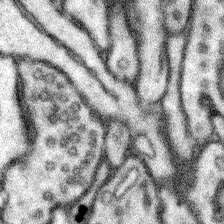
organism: Mouse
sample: Somatosensory cortex neuropil